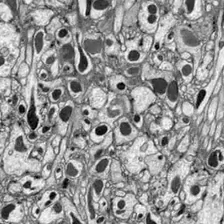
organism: Drosophila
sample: Optic lobe